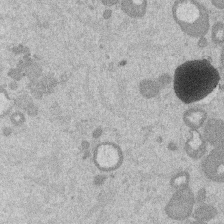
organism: Mouse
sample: Dividing mouse embryo 1 cell stage